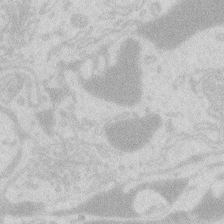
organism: Zebrafish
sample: Macrophage